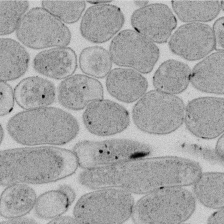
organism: E. coli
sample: Bacterial nucleoid